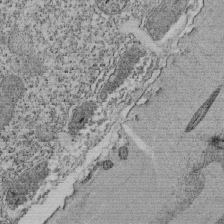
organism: Tetrahymena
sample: Cilia in tetrahymena